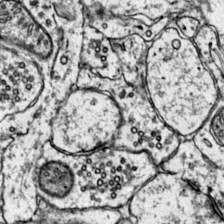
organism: Mouse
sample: Primary visual cortex